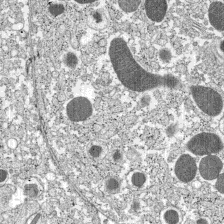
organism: C57BL Mouse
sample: Pancreatic islet